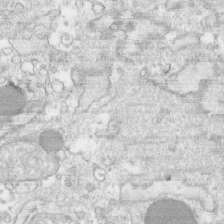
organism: Human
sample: CRL-1474